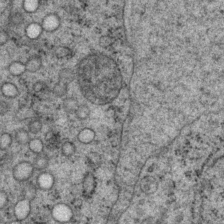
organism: P. pacificus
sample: Pharynx